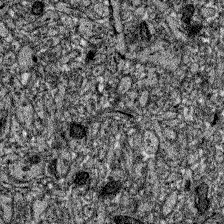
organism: Zebrafish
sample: Larval olfactory bulb